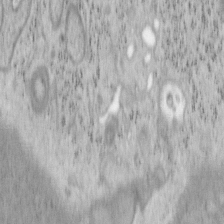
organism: Human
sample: HeLa cells